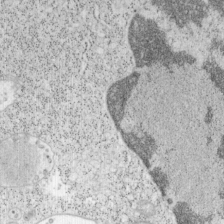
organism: Mouse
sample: OT-I killer T cells with ID8 ovarian cancer cells